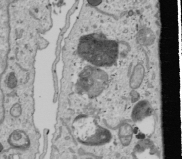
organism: Human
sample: Mitochondria in U2OS cells